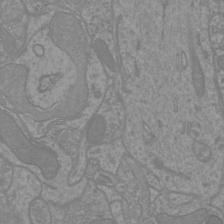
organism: Mouse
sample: Cortical neurons